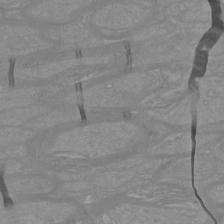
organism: Mouse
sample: Cortical neurons